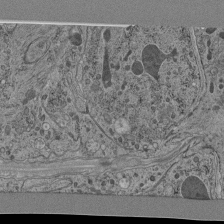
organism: C. elegans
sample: C. elegans pharynx